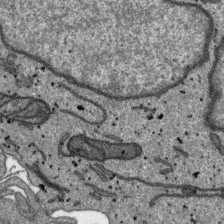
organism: Human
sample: Lung epithelial cells, uninfected (mock) control